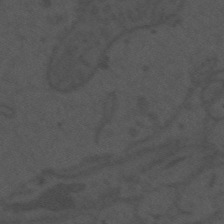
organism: Mouse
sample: Suprachiasmatic nucleus